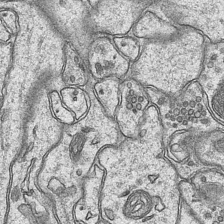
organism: Mouse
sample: CA1 Hippocampus